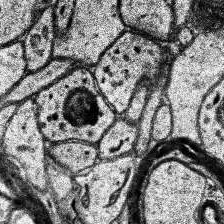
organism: Human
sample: Temporal Lobe